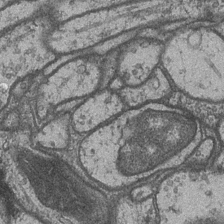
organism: Drosophila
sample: Optic medulla